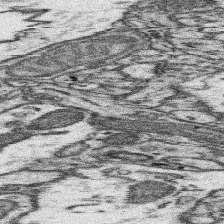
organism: Mouse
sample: Somatosensory cortex neuropil